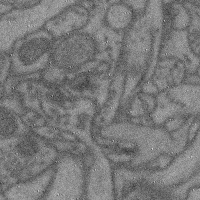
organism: Mouse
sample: Cerebral cortex